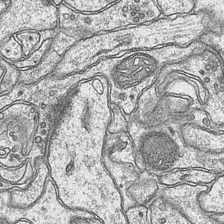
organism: Mouse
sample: CA1 Hippocampus